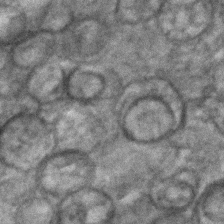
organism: C. elegans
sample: C. elegans embryo